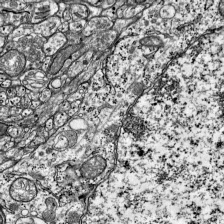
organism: Mouse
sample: Visual Cortex